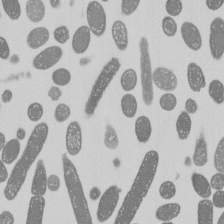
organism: E. coli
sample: Bacterial nucleoid